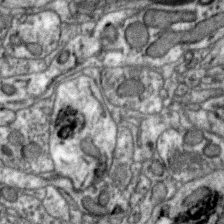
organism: Zebra finch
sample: Brain